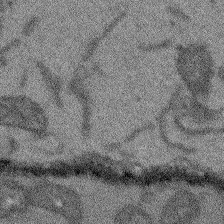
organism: Arabidopsis thaliana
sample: Root tip